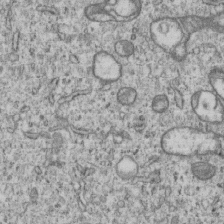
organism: Human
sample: MDA-MB-231 cells